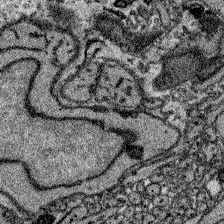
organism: Zebrafish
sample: Larval olfactory bulb